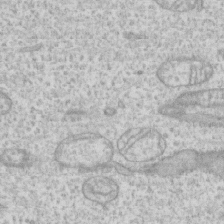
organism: Human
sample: CRL-1474